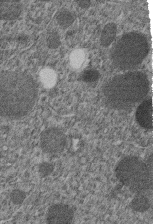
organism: C. elegans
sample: C. elegans embryo early stage